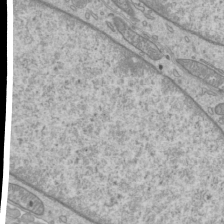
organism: Mouse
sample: Cilia; mouse epididymis